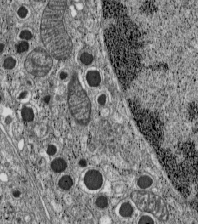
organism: C57BL Mouse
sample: Pancreatic islet